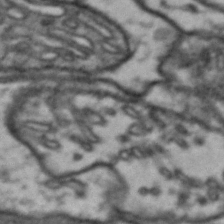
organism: Drosophila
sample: Brain